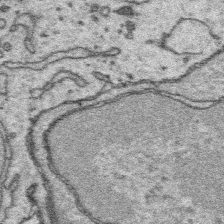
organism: Platynereis dumerilii